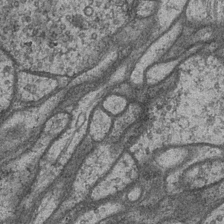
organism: Drosophila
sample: Optic medulla